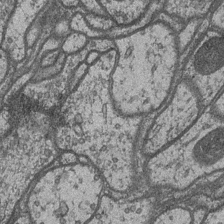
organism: Drosophila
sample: Optic medulla